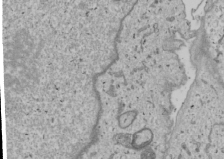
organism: Human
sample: Mitochondria in U2OS cells